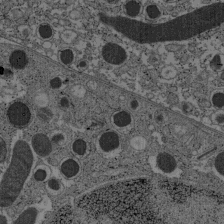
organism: C57BL Mouse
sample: Pancreatic islet